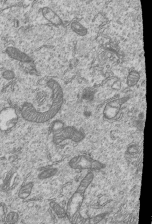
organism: Human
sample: MDA-MB-231 cells